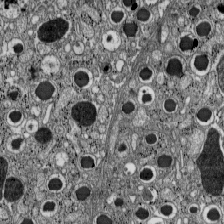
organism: C57BL Mouse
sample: Pancreatic islet